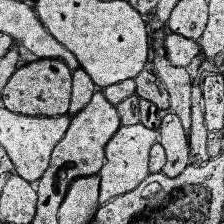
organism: Human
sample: Temporal Lobe